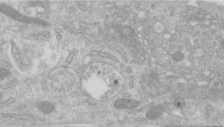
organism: Human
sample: Centriole in RPE cells